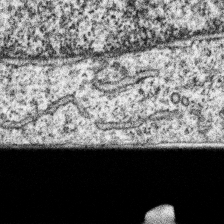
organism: Human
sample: HeLa cells